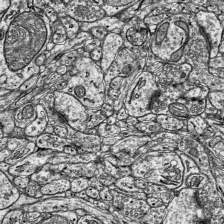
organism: Mouse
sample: Visual Cortex